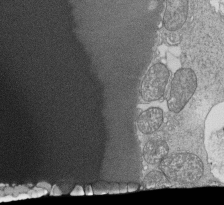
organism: Tetrahymena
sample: Cilia in tetrahymena